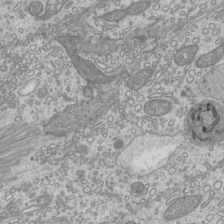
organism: Mouse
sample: Cilia; mouse epididymis